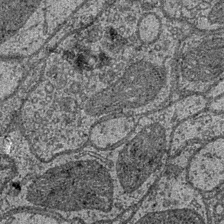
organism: Drosophila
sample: Optic medulla